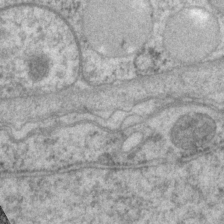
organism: P. pacificus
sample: Pharynx